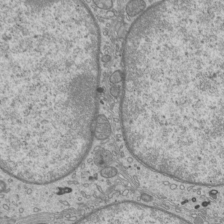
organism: Mouse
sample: Cilia; mouse epididymis